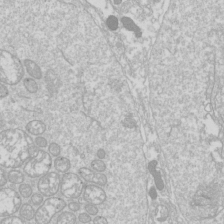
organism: Drosophila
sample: Cell division; meiosis; drosophila spermatocytes